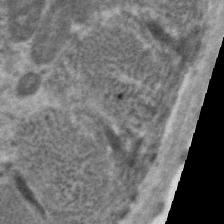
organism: C. elegans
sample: Pharynx